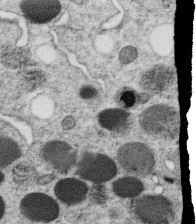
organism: C. elegans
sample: C. elegans oocyte; sperm cells